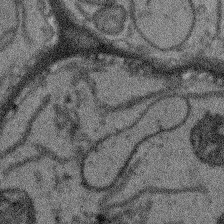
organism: Arabidopsis thaliana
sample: Root tip